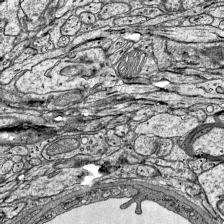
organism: Mouse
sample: Visual Cortex